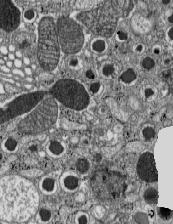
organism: C57BL Mouse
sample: Pancreatic islet